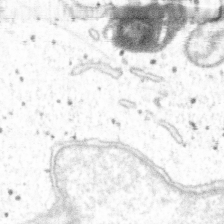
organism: Human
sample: HeLa cells